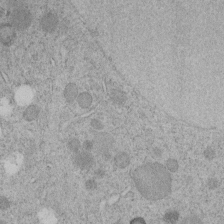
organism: C. elegans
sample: C. elegans embryo early stage